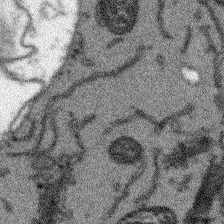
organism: Arabidopsis thaliana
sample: Root tip